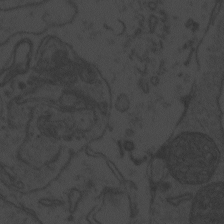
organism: Zebrafish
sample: Macrophage infected with Toxoplasma gondii